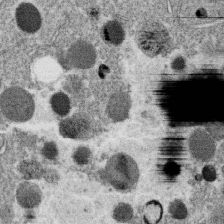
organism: C. elegans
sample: C. elegans oocyte; sperm cells